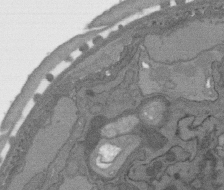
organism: C. elegans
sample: AFD neurons C. elegans